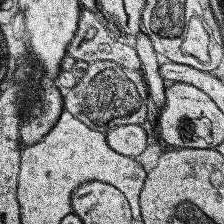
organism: Human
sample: Temporal Lobe